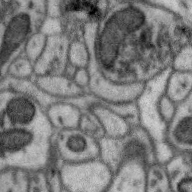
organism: Zebra finch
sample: Brain